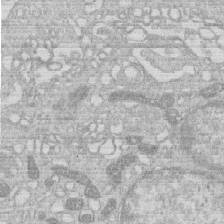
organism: Human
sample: Macrophage cells